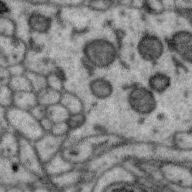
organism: Zebra finch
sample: Brain